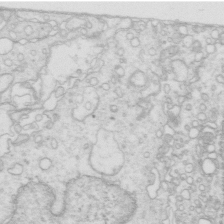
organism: Mouse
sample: Multiciliated cells